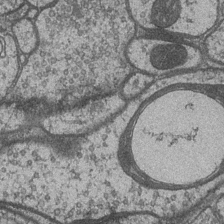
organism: Drosophila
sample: Optic medulla